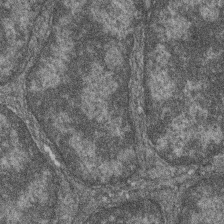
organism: Zebrafish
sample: Cilia; retinal pigment epithelium